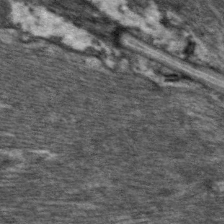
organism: C. elegans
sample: Pharynx